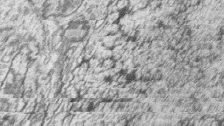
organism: Zebrafish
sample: synaptic ribbons in rod cells and cone cells